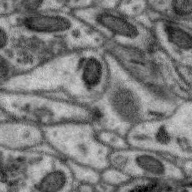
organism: Zebra finch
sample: Brain